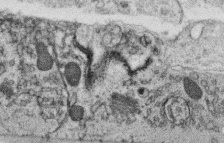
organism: C. elegans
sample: C. elegans oocyte; sperm cells